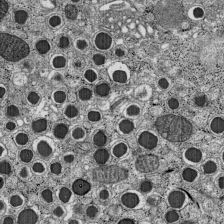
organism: C57BL Mouse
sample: Pancreatic islet